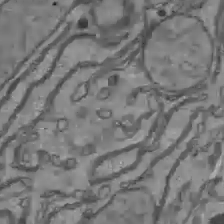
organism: C57BL Mouse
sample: Liver